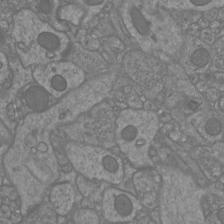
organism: Mouse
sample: Cortical neurons